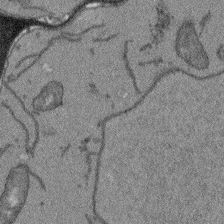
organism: Arabidopsis thaliana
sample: Root tip